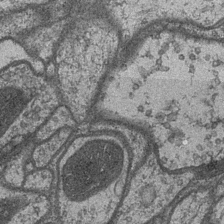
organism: Drosophila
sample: Optic medulla